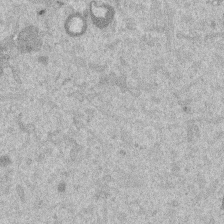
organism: Mouse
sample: Dividing mouse embryo 1 cell stage